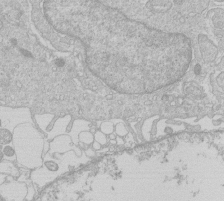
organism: Human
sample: Macrophage cells